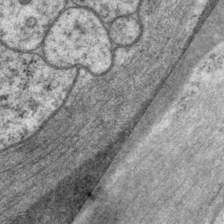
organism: P. pacificus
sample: Pharynx